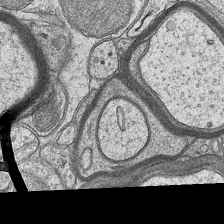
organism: Mouse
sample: CA1 Hippocampus